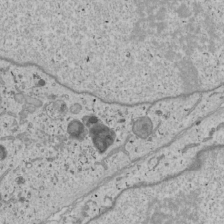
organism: Human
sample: Mitochondria in U2OS cells